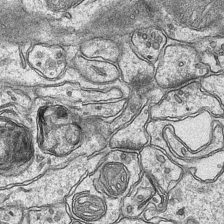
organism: Mouse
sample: CA1 Hippocampus